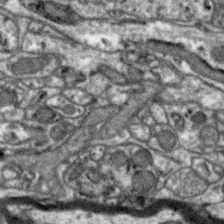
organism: Zebra finch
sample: Brain